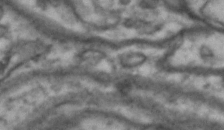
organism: Drosophila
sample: Brain